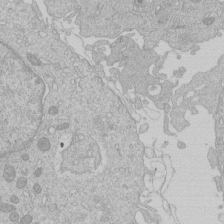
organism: Human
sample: Macrophage cells